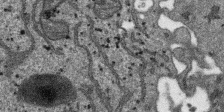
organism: Human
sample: Lung epithelial cells infected with SARS-CoV-2